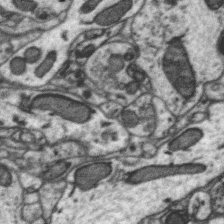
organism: Zebra finch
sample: Brain